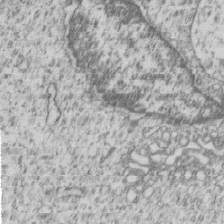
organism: Human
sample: MDA-MB-231 cells